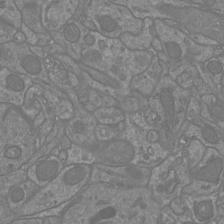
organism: Mouse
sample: Cortical neurons